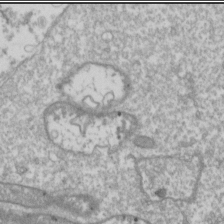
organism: Drosophila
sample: Cell division; meiosis; drosophila spermatocytes